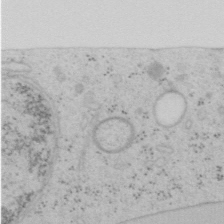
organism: Human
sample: HeLa cells